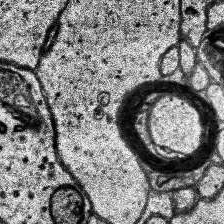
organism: Human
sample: Temporal Lobe